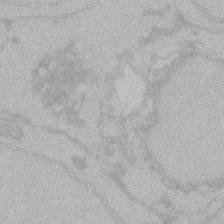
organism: Zebrafish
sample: Macrophage infected with Toxoplasma gondii